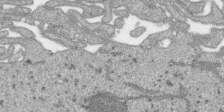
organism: Human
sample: Lung epithelial cells infected with SARS-CoV-2